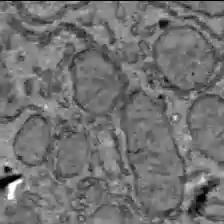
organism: C57BL Mouse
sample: Liver